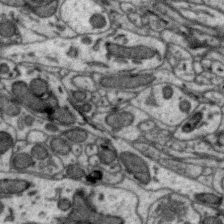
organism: Zebra finch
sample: Brain